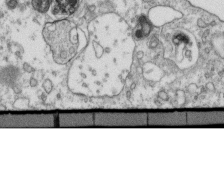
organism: Mouse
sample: Activated OT-1 CD8+ T cells